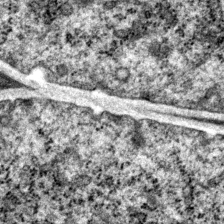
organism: P. pacificus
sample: Pharynx